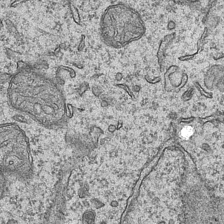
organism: Mouse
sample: CA1 Hippocampus